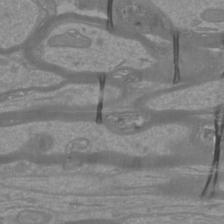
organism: Mouse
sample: Cortical neurons